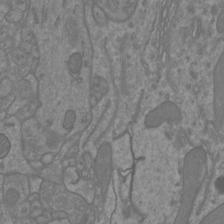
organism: Mouse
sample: Cortical neurons